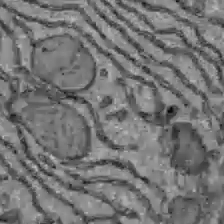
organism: C57BL Mouse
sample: Liver